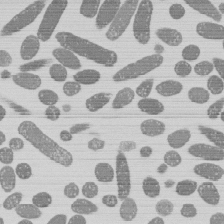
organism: E. coli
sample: Bacterial nucleoid